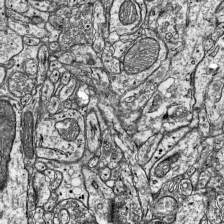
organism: Mouse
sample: Visual Cortex